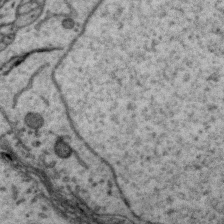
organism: Zebra finch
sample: Brain